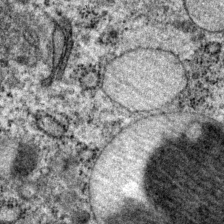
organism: P. pacificus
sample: Pharynx